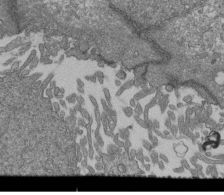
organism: Human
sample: Retinal organoid Rod and Cone cells